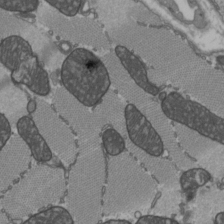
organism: C57BL Mouse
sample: Heart